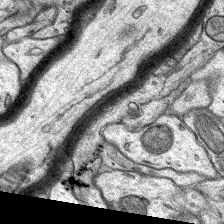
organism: Rat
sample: Hippocampus